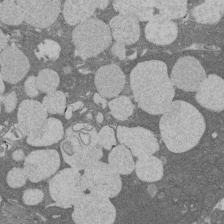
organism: Rat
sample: Salivary granule